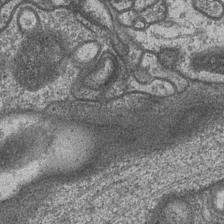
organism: Drosophila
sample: Optic medulla